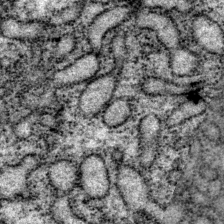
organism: P. pacificus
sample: Pharynx